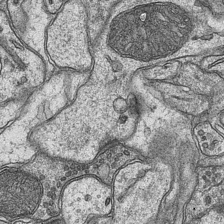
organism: Mouse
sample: CA1 Hippocampus